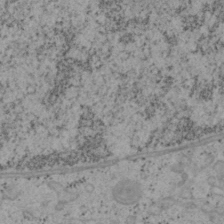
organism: Human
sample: HeLa cells